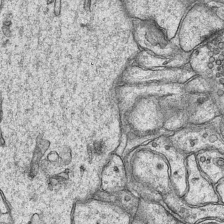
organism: Mouse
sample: CA1 Hippocampus